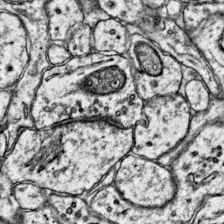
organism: Mouse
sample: Primary visual cortex